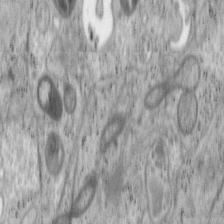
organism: Human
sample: HeLa cells